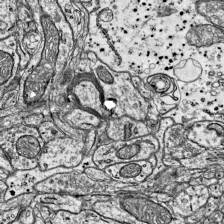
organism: Mouse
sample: Visual Cortex